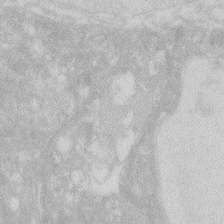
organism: Zebrafish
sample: Macrophage